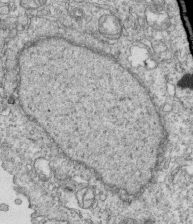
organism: Human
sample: HeLa cell HIV synapse